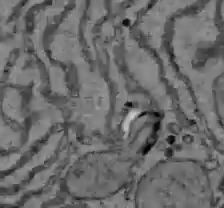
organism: C57BL Mouse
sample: Liver